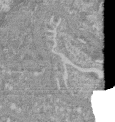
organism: Mouse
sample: Glomerulus